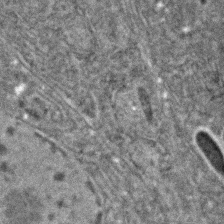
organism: C. elegans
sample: C. elegans embryo